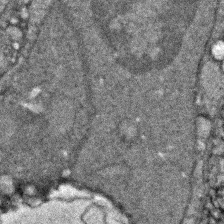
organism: Zebrafish